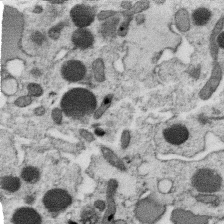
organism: C. elegans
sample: C. elegans oocyte; sperm cells